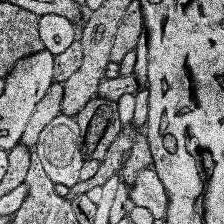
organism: Human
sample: Temporal Lobe